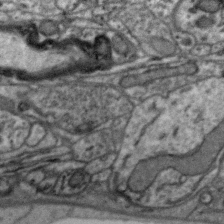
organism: Zebra finch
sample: Brain